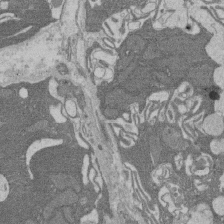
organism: Rat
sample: Salivary granule